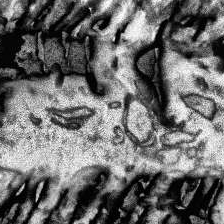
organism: Human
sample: Temporal Lobe